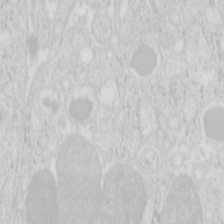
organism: Mouse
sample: Pancreas